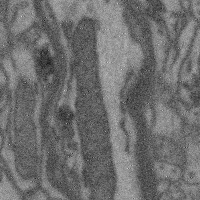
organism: Mouse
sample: Cerebral cortex